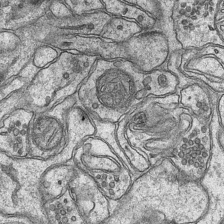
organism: Mouse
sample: CA1 Hippocampus